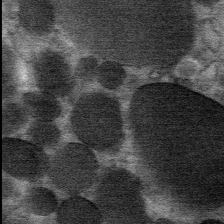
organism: Mouse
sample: Mouse Salivary gland